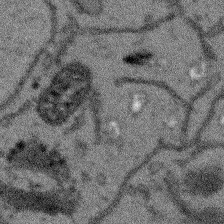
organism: Arabidopsis thaliana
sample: Root tip